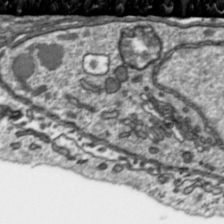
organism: Toxoplasma gondii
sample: Parasites in a vacuole inside a host cell